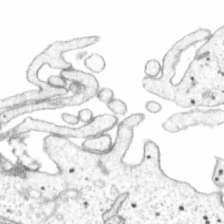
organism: Human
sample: HeLa cells